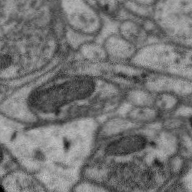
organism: Zebra finch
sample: Brain